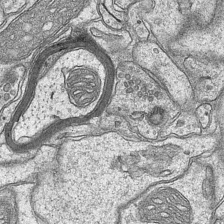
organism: Mouse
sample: CA1 Hippocampus